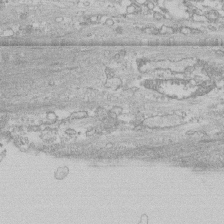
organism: Human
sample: CRL-1474